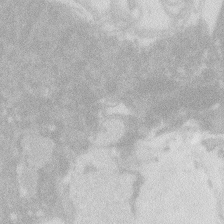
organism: Zebrafish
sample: Macrophage